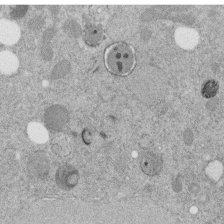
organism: C. elegans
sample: C. elegans embryo early stage